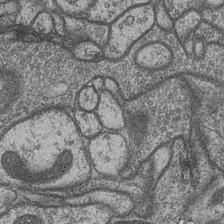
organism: Drosophila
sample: Optic medulla